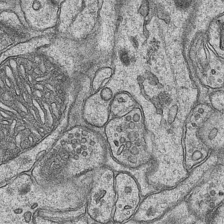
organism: Mouse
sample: CA1 Hippocampus